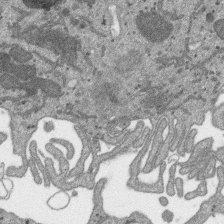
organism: Human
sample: Lung epithelial cells infected with SARS-CoV-2